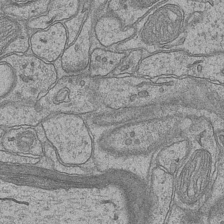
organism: Mouse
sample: CA1 Hippocampus